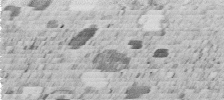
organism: C. elegans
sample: C. elegans embryo early stage